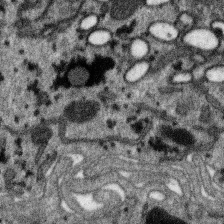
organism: Human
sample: Lung epithelial cells infected with SARS-CoV-2